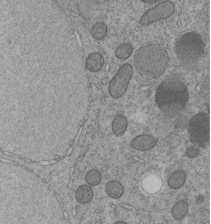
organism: C. elegans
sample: C. elegans embryo early stage